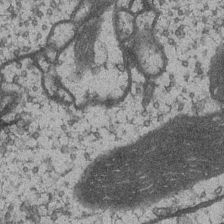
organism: Drosophila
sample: Optic medulla